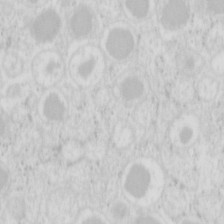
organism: Mouse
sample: Pancreas